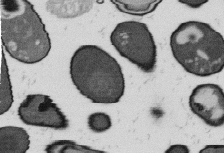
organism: B. subtilis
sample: Bacterial spore